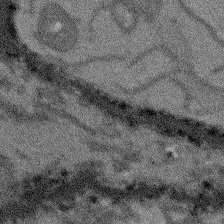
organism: Arabidopsis thaliana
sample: Root tip